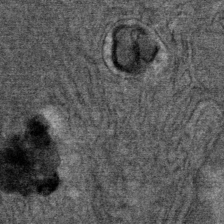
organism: Mouse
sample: Mouse Salivary gland